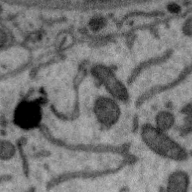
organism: Zebra finch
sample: Brain